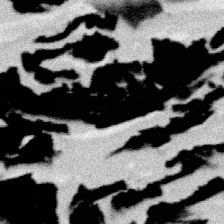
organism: Platynereis dumerilii